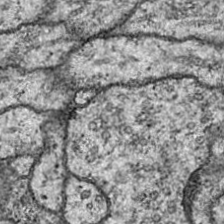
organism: Drosophila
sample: Ventral Nerve Cord